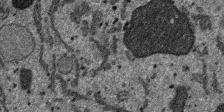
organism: Human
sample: Lung epithelial cells infected with SARS-CoV-2